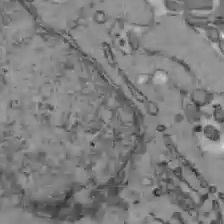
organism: C57BL Mouse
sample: Liver